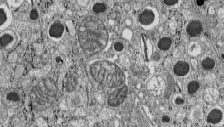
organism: C57BL Mouse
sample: Pancreatic islet